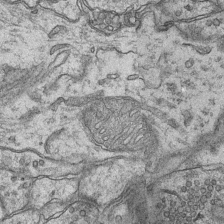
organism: Mouse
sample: CA1 Hippocampus